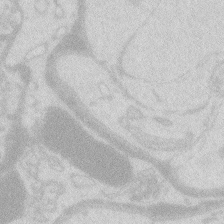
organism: Zebrafish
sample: Macrophage